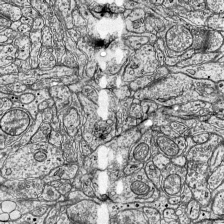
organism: Mouse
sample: Visual Cortex